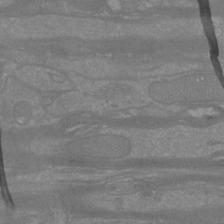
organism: Mouse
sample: Cortical neurons